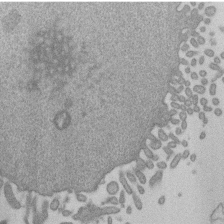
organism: Mouse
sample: Dividing mouse embryo 1 cell stage